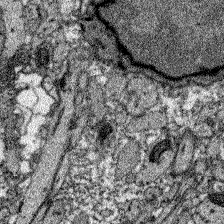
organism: Zebrafish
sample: Larval olfactory bulb